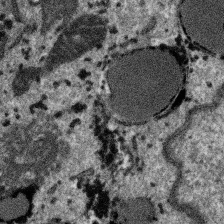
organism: Human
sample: Lung epithelial cells infected with SARS-CoV-2